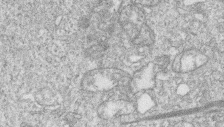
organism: Human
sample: HeLa cell HIV synapse